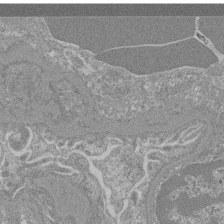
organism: Mouse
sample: Glomerulus